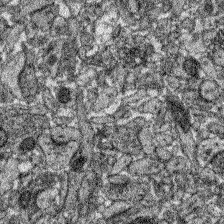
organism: Zebrafish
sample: Larval olfactory bulb